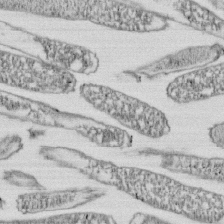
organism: E. coli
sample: Bacterial nucleoid